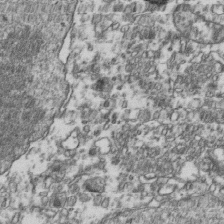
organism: Human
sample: Activated Jurkat CD4+ T cells